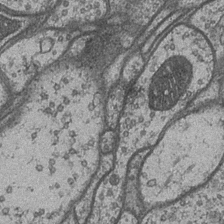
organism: Drosophila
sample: Optic medulla